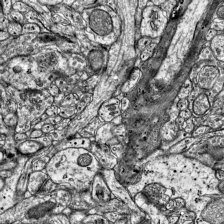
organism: Mouse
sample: Visual Cortex